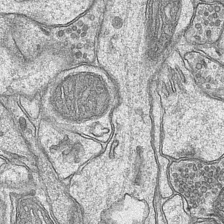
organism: Mouse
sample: CA1 Hippocampus